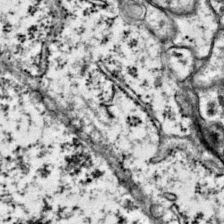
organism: Mouse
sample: Primary visual cortex